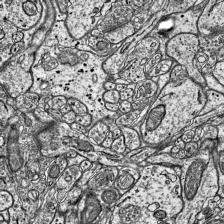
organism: Mouse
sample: Visual Cortex